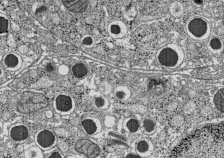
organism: C57BL Mouse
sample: Pancreatic islet